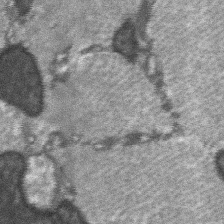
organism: C57BL Mouse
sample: Soleus